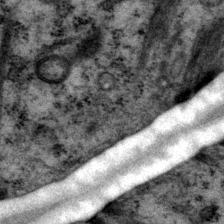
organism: P. pacificus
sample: Pharynx